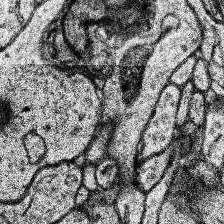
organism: Human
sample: Temporal Lobe